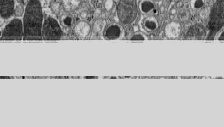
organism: C57BL Mouse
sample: Pancreatic islet